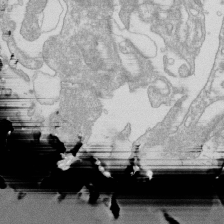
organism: Mouse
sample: Macrophages